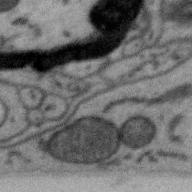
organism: Zebra finch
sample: Brain